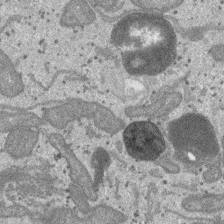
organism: Human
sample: Lung epithelial cells infected with SARS-CoV-2